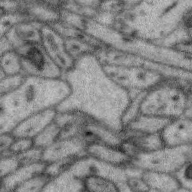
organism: Zebra finch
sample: Brain